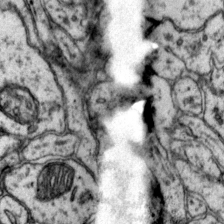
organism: Mouse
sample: Primary visual cortex